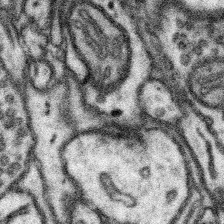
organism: Mouse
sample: Somatosensory cortex neuropil